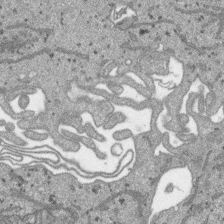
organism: Human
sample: Lung epithelial cells infected with SARS-CoV-2